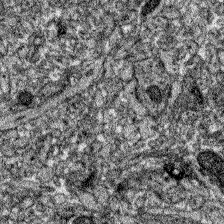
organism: Zebrafish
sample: Larval olfactory bulb